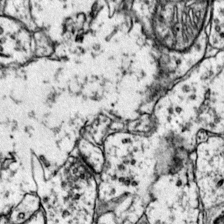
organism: Mouse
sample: Primary visual cortex